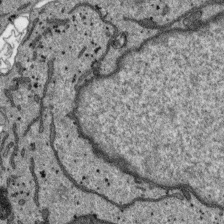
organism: Human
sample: Lung epithelial cells, uninfected (mock) control